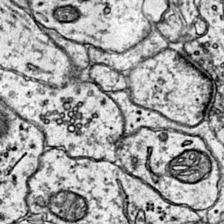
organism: Mouse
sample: Primary visual cortex